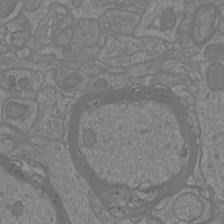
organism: Mouse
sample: Cortical neurons